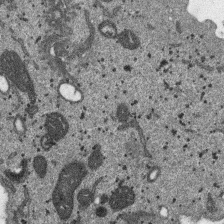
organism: Human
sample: Lung epithelial cells infected with SARS-CoV-2